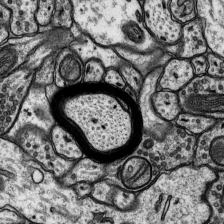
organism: Rat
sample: Hippocampus